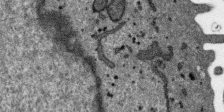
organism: Human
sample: Lung epithelial cells, uninfected (mock) control